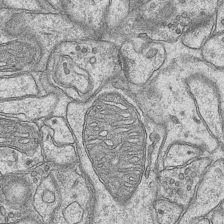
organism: Mouse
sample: CA1 Hippocampus